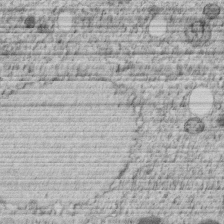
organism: C. elegans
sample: C. elegans embryo early stage